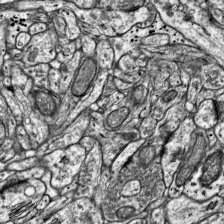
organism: Mouse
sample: Visual Cortex